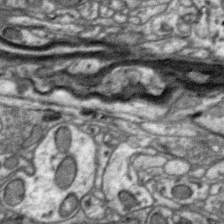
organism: Zebra finch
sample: Brain